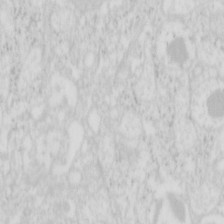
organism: Mouse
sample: Pancreas